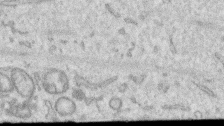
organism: Human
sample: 1205lu cells